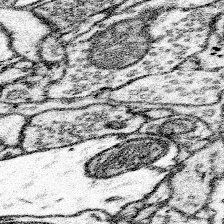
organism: Mouse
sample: Somatosensory cortex neuropil